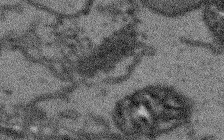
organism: Arabidopsis thaliana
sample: Root tip